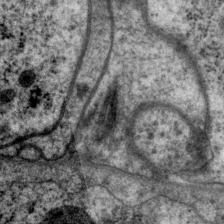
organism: P. pacificus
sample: Pharynx